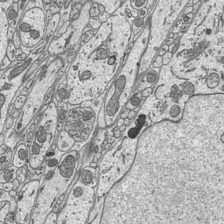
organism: Mouse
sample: Suprachiasmatic nucleus